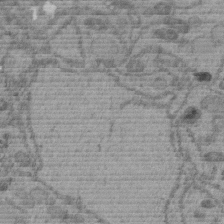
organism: C. elegans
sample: C. elegans embryo early stage